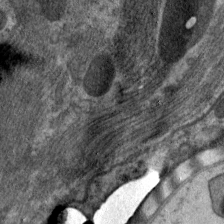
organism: C. elegans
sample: Pharynx